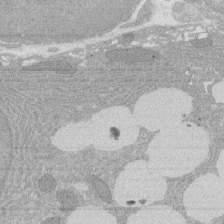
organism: Rat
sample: Salivary granule